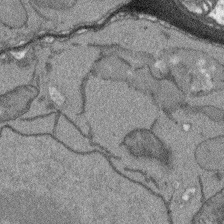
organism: Arabidopsis thaliana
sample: Root tip